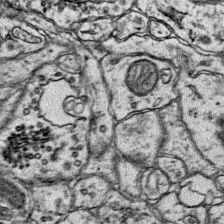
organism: Mouse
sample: Primary visual cortex